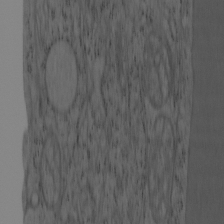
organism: Human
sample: HeLa cells